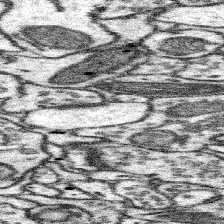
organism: Mouse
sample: Somatosensory cortex neuropil